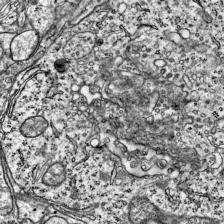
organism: Mouse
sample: Visual Cortex